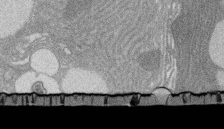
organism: Rat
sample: Salivary granule